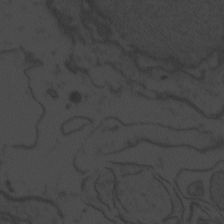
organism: Zebrafish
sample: Macrophage infected with Toxoplasma gondii